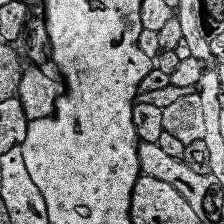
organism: Human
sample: Temporal Lobe